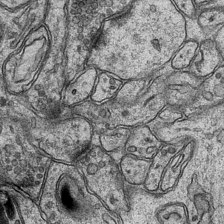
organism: Mouse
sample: CA1 Hippocampus